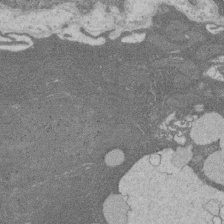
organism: Rat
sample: Salivary granule